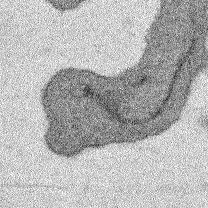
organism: Human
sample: HeLa cells